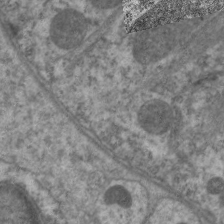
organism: C. elegans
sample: Pharynx